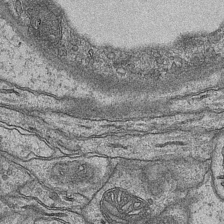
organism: Mouse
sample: CA1 Hippocampus